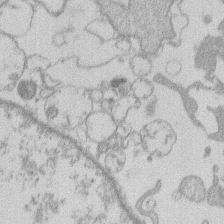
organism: Human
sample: Macrophage cells